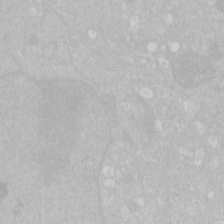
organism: Human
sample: HIV infected U937 cells